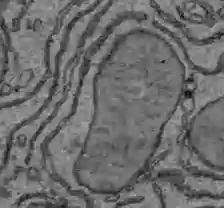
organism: C57BL Mouse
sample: Liver